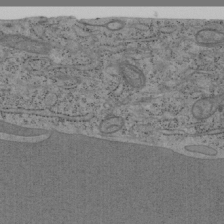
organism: Human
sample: HeLa cells